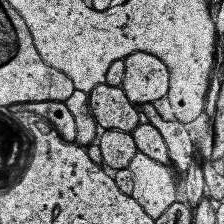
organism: Human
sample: Temporal Lobe